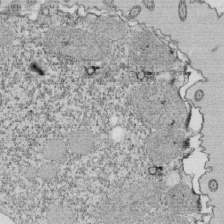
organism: Tetrahymena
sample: Cilia in tetrahymena